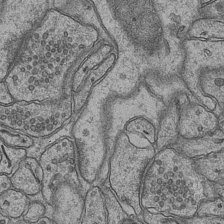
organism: Mouse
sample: CA1 Hippocampus